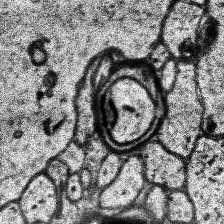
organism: Human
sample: Temporal Lobe